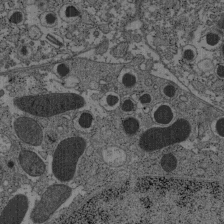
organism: C57BL Mouse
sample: Pancreatic islet